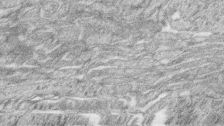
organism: Zebrafish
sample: synaptic ribbons in rod cells and cone cells